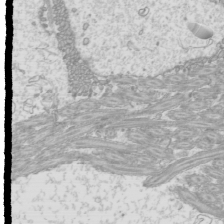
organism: Mouse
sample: Cilia; mouse epididymis